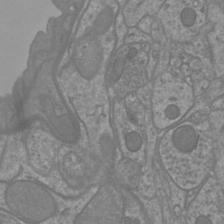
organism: Mouse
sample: Cortical neurons